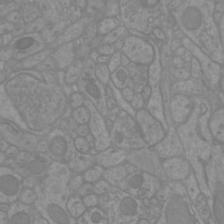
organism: Mouse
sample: Cortical neurons